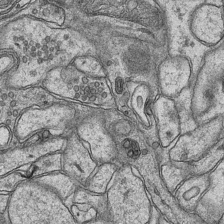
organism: Mouse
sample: CA1 Hippocampus